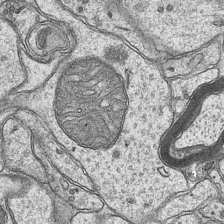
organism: Mouse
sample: CA1 Hippocampus